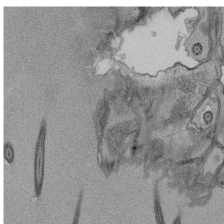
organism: Tetrahymena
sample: Cilia in tetrahymena